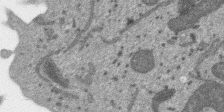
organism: Human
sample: Lung epithelial cells infected with SARS-CoV-2